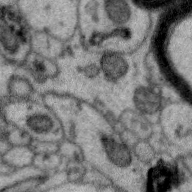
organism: Zebra finch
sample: Brain